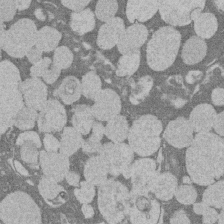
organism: Rat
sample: Salivary granule